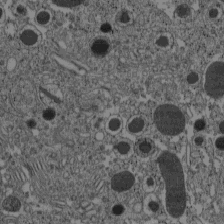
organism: C57BL Mouse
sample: Pancreatic islet